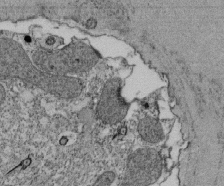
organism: Tetrahymena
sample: Cilia in tetrahymena